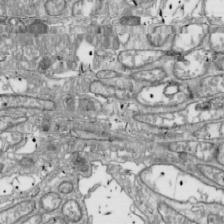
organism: Drosophila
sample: Cell division; meiosis; drosophila spermatocytes